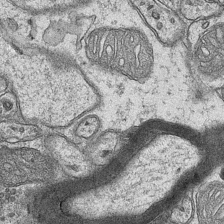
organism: Mouse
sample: CA1 Hippocampus